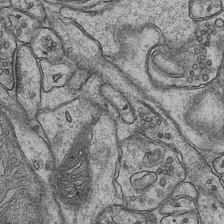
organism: Mouse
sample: CA1 Hippocampus